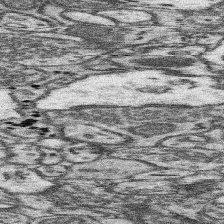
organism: Mouse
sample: Somatosensory cortex neuropil